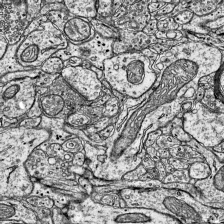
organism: Mouse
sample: Visual Cortex